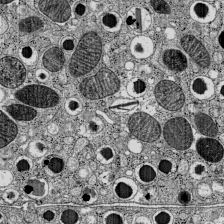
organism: C57BL Mouse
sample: Pancreatic islet